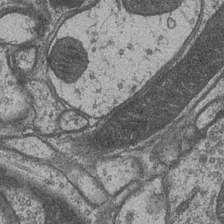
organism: Drosophila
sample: Optic medulla